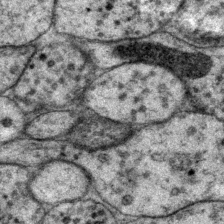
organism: P. pacificus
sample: Pharynx